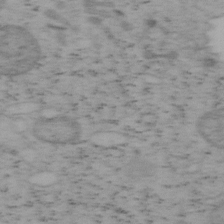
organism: Mouse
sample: OT-I killer T cells with ID8 ovarian cancer cells